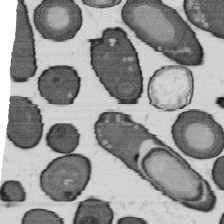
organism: B. subtilis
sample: Bacterial spore